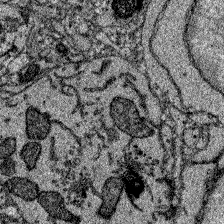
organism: Zebrafish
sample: Larval olfactory bulb